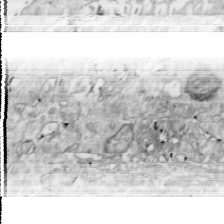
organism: Drosophila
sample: Cell division; meiosis; drosophila spermatocytes